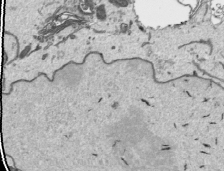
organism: Human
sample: Mitochondria in HCT116 cells